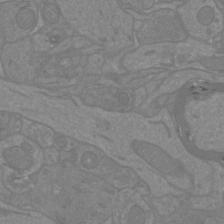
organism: Mouse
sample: Cortical neurons